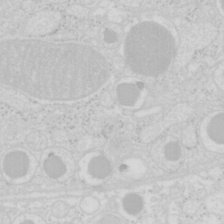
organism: Mouse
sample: Pancreas